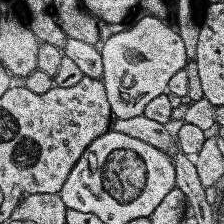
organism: Human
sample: Temporal Lobe